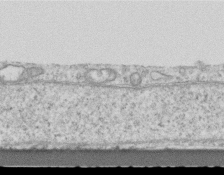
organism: Mouse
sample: Centriole in ependymal cells